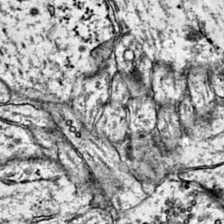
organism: Mouse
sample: Primary visual cortex